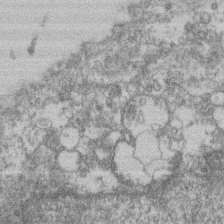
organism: Mouse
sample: T cell stromal cell synapse